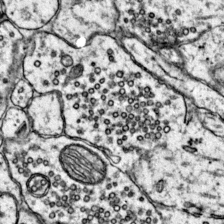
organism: Mouse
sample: Primary visual cortex